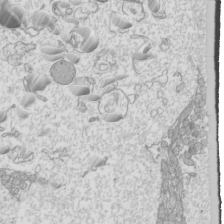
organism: Mouse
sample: Cilia; mouse epididymis